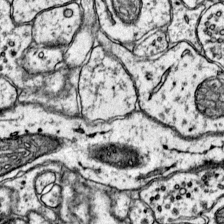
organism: Mouse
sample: Primary visual cortex